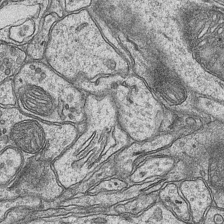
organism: Mouse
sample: CA1 Hippocampus